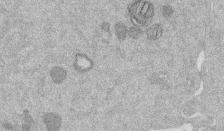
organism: Mouse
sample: Dividing mouse embryo 1 cell stage